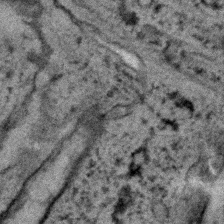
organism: C. elegans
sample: C. elegans embryo